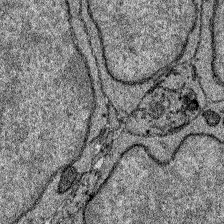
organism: Zebrafish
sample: Larval olfactory bulb